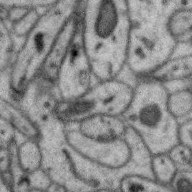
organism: Zebra finch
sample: Brain